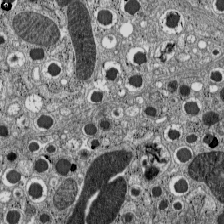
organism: C57BL Mouse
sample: Pancreatic islet